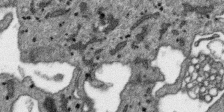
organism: Human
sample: Lung epithelial cells, uninfected (mock) control